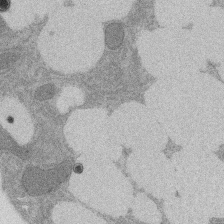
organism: Rat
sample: Salivary granule